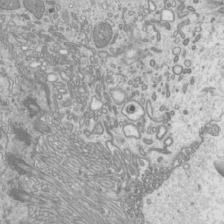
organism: Mouse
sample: Cilia; mouse epididymis